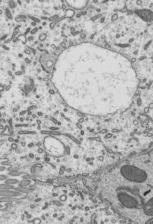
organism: Mouse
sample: Mouse epididymis efferent ductule cilia